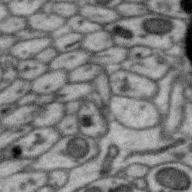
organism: Zebra finch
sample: Brain